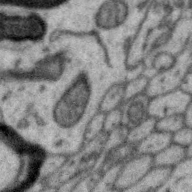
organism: Zebra finch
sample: Brain